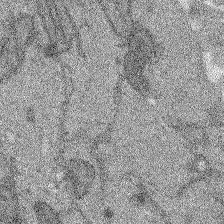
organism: Human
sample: HeLa cells